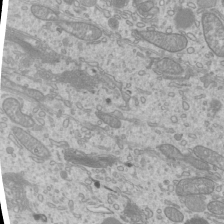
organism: Mouse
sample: Cilia; mouse epididymis